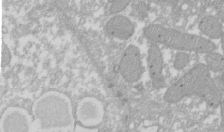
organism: Xenopus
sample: Cilia; centrioles in frog embryo cells